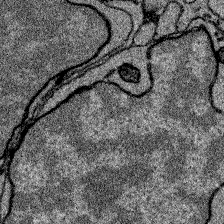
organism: Zebrafish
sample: Larval olfactory bulb